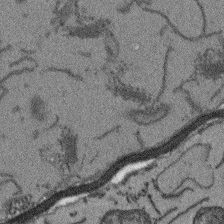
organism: Arabidopsis thaliana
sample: Root tip